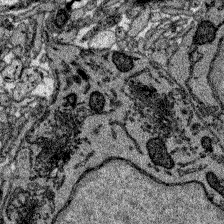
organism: Zebrafish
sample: Larval olfactory bulb